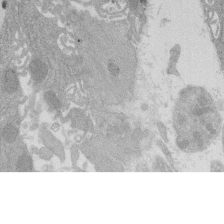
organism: Rat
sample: Salivary granule